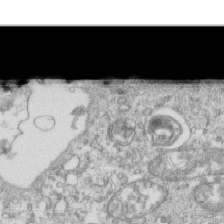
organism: Mouse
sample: Activated OT-1 CD8+ T cells